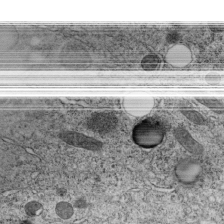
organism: C. elegans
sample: C. elegans embryo early stage